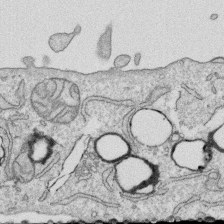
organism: Human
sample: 1205lu cells